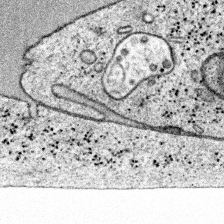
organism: Human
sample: HeLa cells